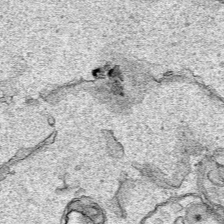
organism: Human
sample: Mitochondria in HCT116 cells